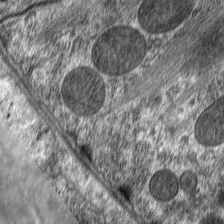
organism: C. elegans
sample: Pharynx